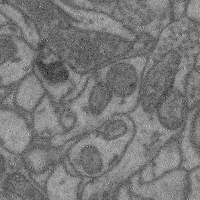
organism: Mouse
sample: Cerebral cortex